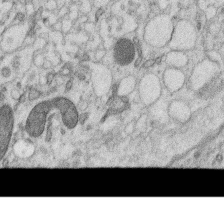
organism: C. elegans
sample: C. elegans oocyte; sperm cells